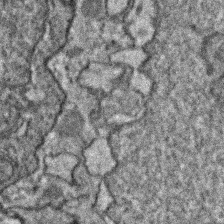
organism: Zebrafish